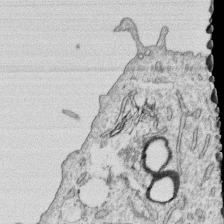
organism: Human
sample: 1205lu cells